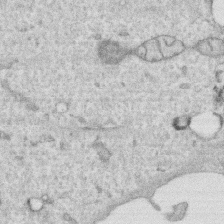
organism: Human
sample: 1205lu cells